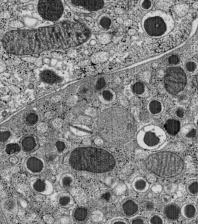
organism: C57BL Mouse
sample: Pancreatic islet